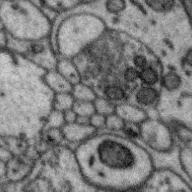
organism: Zebra finch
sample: Brain